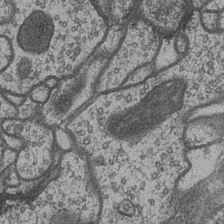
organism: Drosophila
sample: Optic medulla